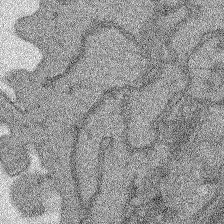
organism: Human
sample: HeLa cells